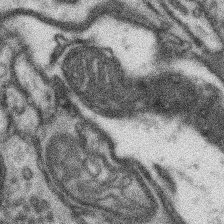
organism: Mouse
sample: Somatosensory cortex neuropil